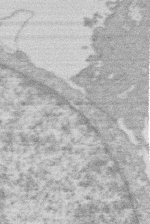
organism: Human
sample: Macrophage cells